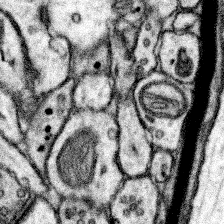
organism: Mouse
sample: Somatosensory cortex neuropil